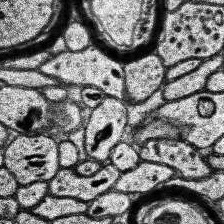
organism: Human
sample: Temporal Lobe